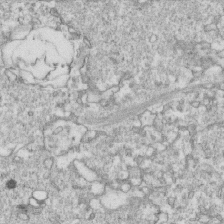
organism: Mouse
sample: Activated OT-1 CD8+ T cells